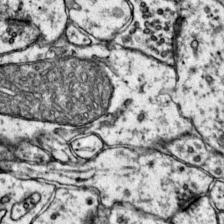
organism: Mouse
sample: Primary visual cortex